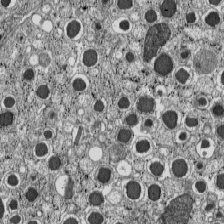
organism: C57BL Mouse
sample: Pancreatic islet